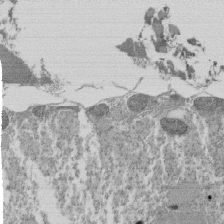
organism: Tetrahymena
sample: Cilia in tetrahymena